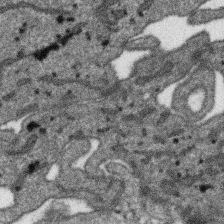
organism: Human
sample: Lung epithelial cells infected with SARS-CoV-2